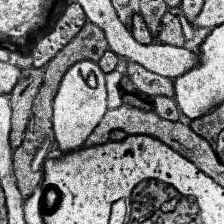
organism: Human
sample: Temporal Lobe